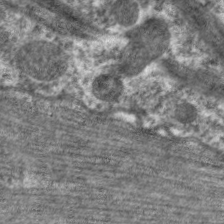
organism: C. elegans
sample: Pharynx